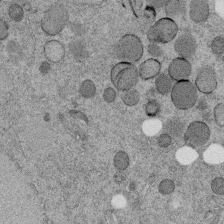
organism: C. elegans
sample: C. elegans embryo early stage